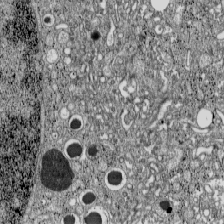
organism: C57BL Mouse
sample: Pancreatic islet